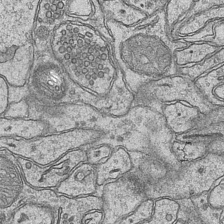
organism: Mouse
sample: CA1 Hippocampus